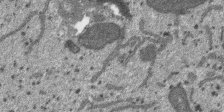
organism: Human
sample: Lung epithelial cells infected with SARS-CoV-2